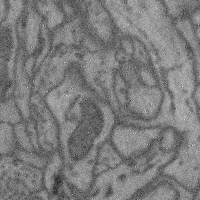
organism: Mouse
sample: Cerebral cortex